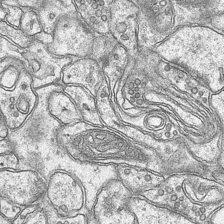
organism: Mouse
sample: CA1 Hippocampus